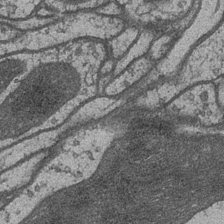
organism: Drosophila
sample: Optic medulla